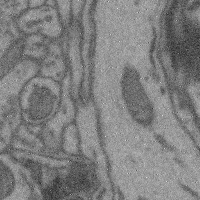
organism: Mouse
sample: Cerebral cortex